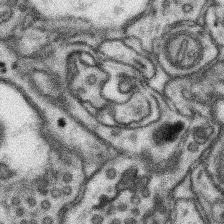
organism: Mouse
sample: Somatosensory cortex neuropil